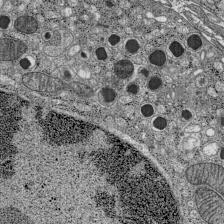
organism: C57BL Mouse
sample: Pancreatic islet